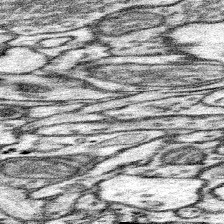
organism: Mouse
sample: Somatosensory cortex neuropil